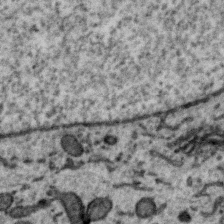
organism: Zebra finch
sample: Brain